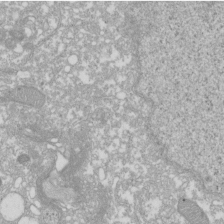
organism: Xenopus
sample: Cilia; centrioles in frog embryo cells